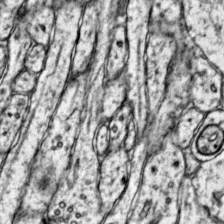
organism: Mouse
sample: Primary visual cortex